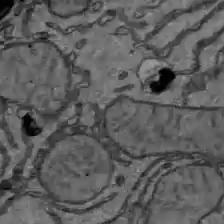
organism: C57BL Mouse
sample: Liver